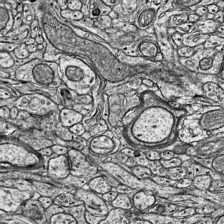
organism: Mouse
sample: Visual Cortex